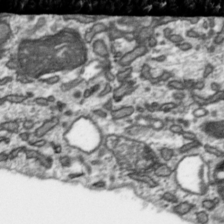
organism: Toxoplasma gondii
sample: Parasites in a vacuole inside a host cell